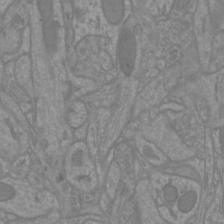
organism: Mouse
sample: Cortical neurons